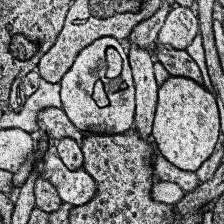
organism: Human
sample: Temporal Lobe